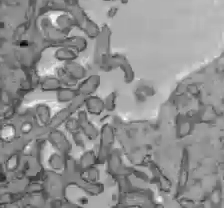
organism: C57BL Mouse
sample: Liver